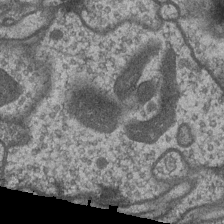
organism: Drosophila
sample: Optic medulla